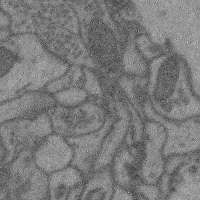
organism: Mouse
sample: Cerebral cortex